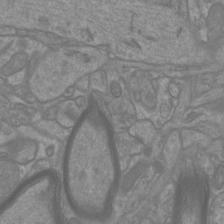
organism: Mouse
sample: Cortical neurons